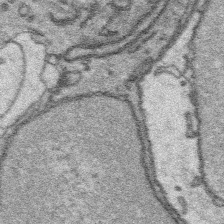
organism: Platynereis dumerilii